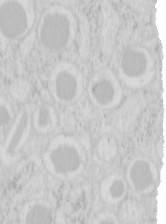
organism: Mouse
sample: Pancreas